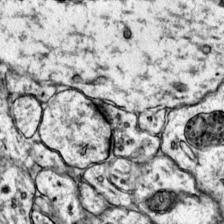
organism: Mouse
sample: Primary visual cortex